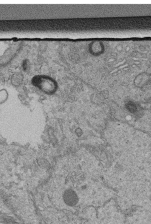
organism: Human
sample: Retinal organoid Rod and Cone cells